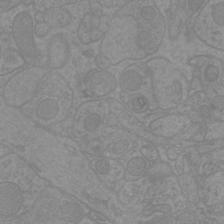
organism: Mouse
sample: Cortical neurons